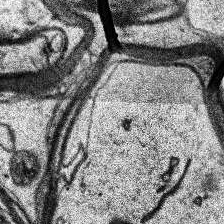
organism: Human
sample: Temporal Lobe